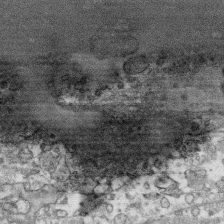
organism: Human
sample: CRL-1474